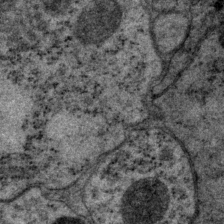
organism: P. pacificus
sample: Pharynx